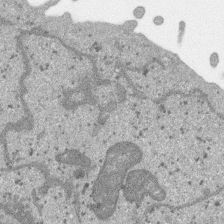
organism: Human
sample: Lung epithelial cells infected with SARS-CoV-2